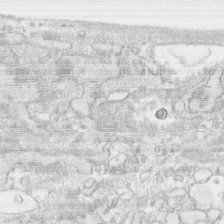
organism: Human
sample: CRL-1474